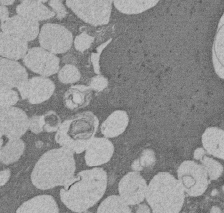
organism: Rat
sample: Salivary granule